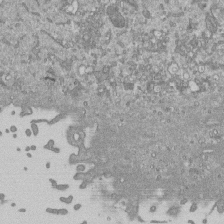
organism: Mouse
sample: ED-1 cell nuclei; centrioles